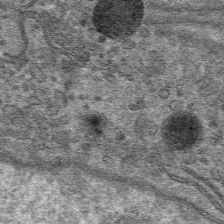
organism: Mouse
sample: Mouse hepatocytes